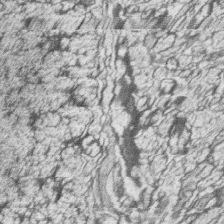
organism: Zebrafish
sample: synaptic ribbons in rod cells and cone cells